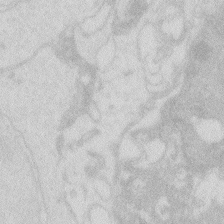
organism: Zebrafish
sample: Macrophage